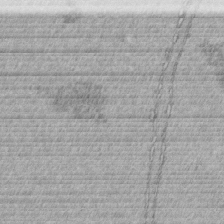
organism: C. elegans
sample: C. elegans embryo early stage